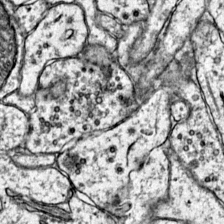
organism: Mouse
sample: Primary visual cortex